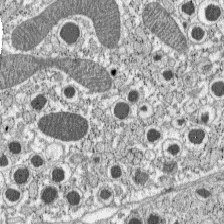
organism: C57BL Mouse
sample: Pancreatic islet